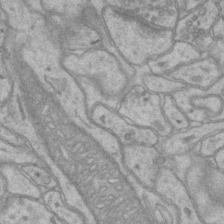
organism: Mouse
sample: CA1 Hippocampus